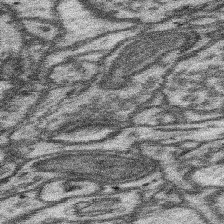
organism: Mouse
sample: Somatosensory cortex neuropil